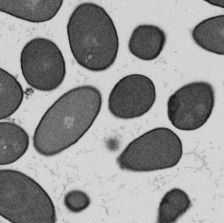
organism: B. subtilis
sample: Bacterial spore